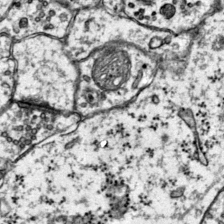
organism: Mouse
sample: Primary visual cortex